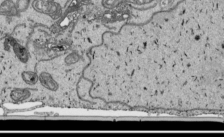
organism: Human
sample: Mitochondria in HCT116 cells